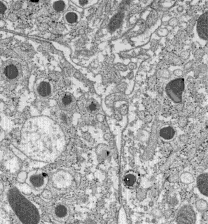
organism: C57BL Mouse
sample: Pancreatic islet